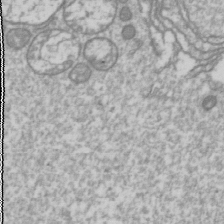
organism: Drosophila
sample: Cell division; meiosis; drosophila spermatocytes